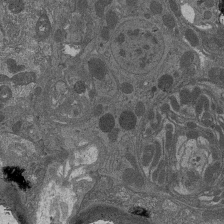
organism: Drosophila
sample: Antenna